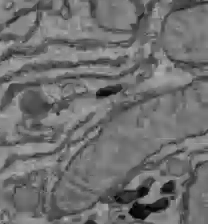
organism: C57BL Mouse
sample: Liver